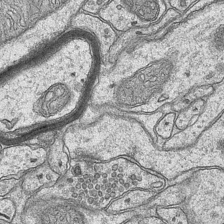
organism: Mouse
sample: CA1 Hippocampus